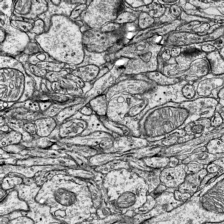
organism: Mouse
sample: Visual Cortex